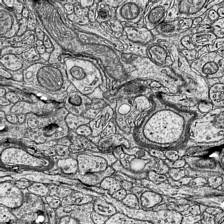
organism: Mouse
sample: Visual Cortex